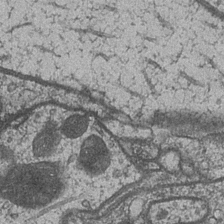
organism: Drosophila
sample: Optic medulla